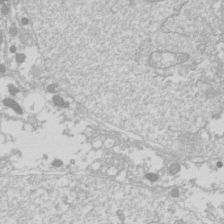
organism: Drosophila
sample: Cell division; meiosis; drosophila spermatocytes